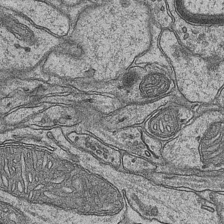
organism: Mouse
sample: CA1 Hippocampus